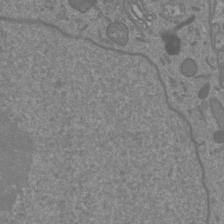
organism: Mouse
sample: Cortical neurons